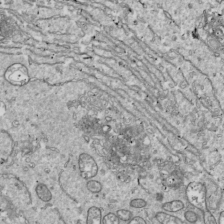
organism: Drosophila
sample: Cell division; meiosis; drosophila spermatocytes